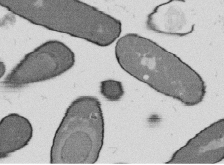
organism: B. subtilis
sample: Bacterial spore